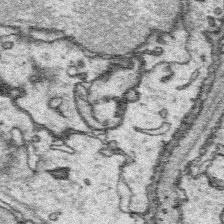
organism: Platynereis dumerilii